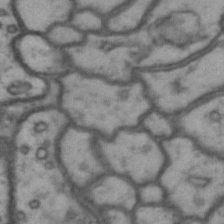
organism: Drosophila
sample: Brain